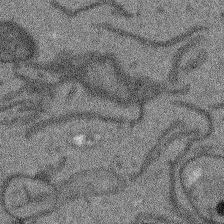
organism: Arabidopsis thaliana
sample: Root tip